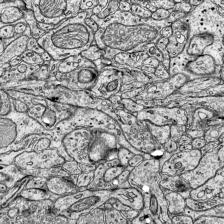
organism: Mouse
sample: Visual Cortex